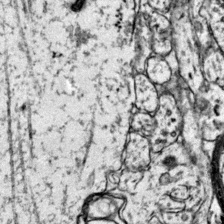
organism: Mouse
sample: Primary visual cortex